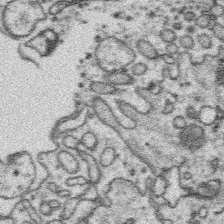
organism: Platynereis dumerilii